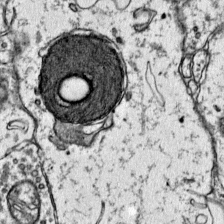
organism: Mouse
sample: Primary visual cortex